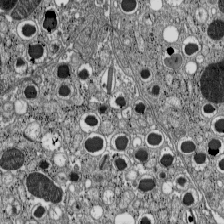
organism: C57BL Mouse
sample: Pancreatic islet